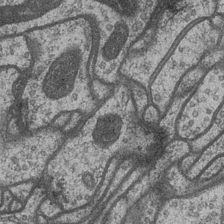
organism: Drosophila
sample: Optic medulla